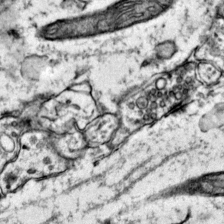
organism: Mouse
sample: Primary visual cortex